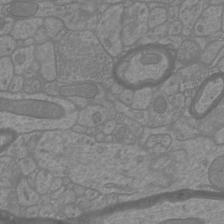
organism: Mouse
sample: Cortical neurons